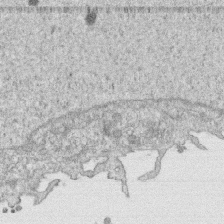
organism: Human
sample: HeLa cell HIV synapse